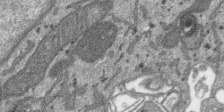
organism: Human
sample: Lung epithelial cells infected with SARS-CoV-2